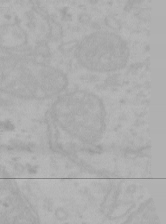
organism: Mouse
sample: Choroid plexus